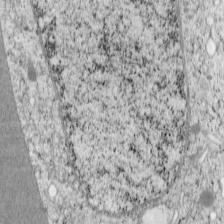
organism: African green monkey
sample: COS-7 cells